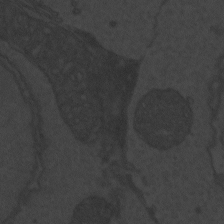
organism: Zebrafish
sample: Macrophage infected with Toxoplasma gondii